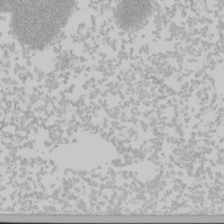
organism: Mouse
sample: Cancer cell death in ED-1 cells